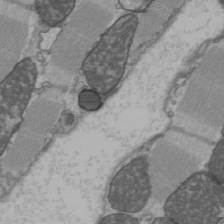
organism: C57BL Mouse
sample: Heart